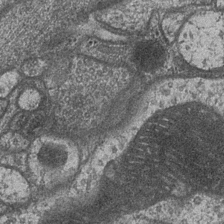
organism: Drosophila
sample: Optic medulla